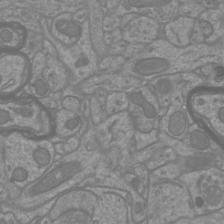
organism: Mouse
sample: Cortical neurons